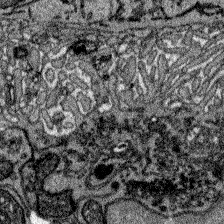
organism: Zebrafish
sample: Larval olfactory bulb